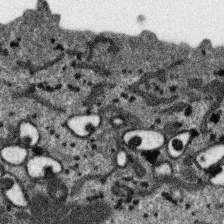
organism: Human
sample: Lung epithelial cells infected with SARS-CoV-2